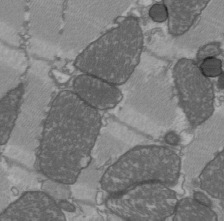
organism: C57BL Mouse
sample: Heart